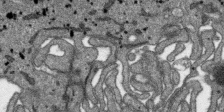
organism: Human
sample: Lung epithelial cells, uninfected (mock) control